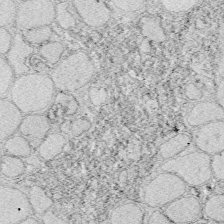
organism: Zebrafish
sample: Whole-Brain